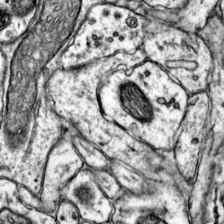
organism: Mouse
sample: Primary visual cortex